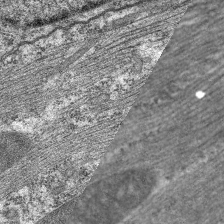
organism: C. elegans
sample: Pharynx